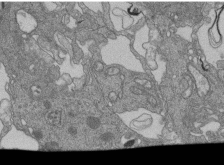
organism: Human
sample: Retinal organoid Rod and Cone cells